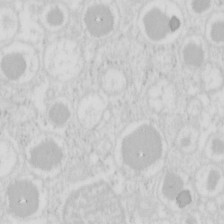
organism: Mouse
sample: Pancreas